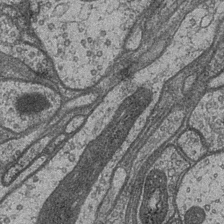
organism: Drosophila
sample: Optic medulla